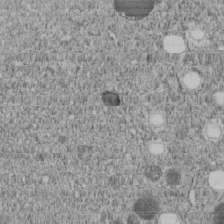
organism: C. elegans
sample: C. elegans embryo early stage